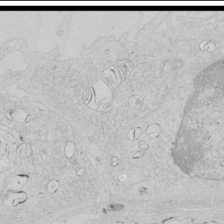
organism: Human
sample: Mitochondria in HCT116 cells